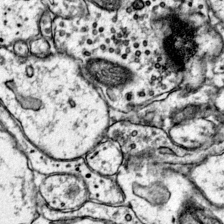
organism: Mouse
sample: Primary visual cortex